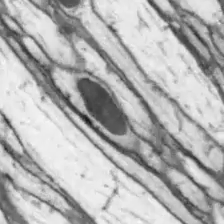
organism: Drosophila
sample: Optic lobe